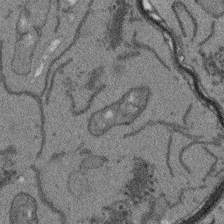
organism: Arabidopsis thaliana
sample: Root tip